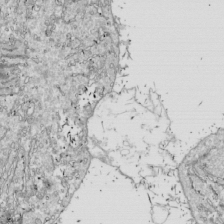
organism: Drosophila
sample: Cell division; meiosis; drosophila spermatocytes